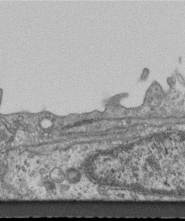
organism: Mouse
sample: Centriole in ependymal cells